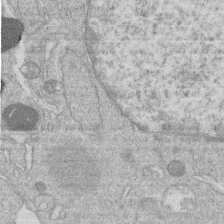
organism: Human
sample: Macrophage cells